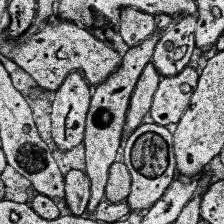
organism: Human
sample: Temporal Lobe